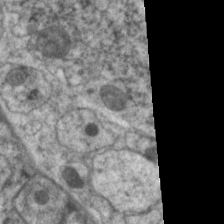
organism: C. elegans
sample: Pharynx